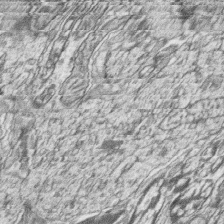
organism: Zebrafish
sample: synaptic ribbons in rod cells and cone cells